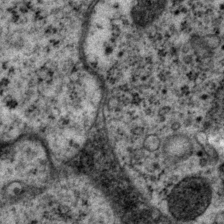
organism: P. pacificus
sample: Pharynx